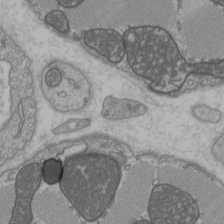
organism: C57BL Mouse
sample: Heart